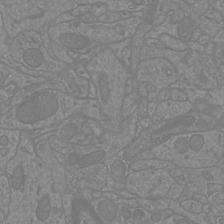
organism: Mouse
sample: Cortical neurons